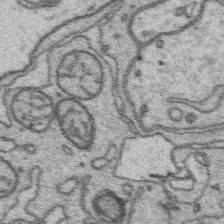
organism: Platynereis dumerilii